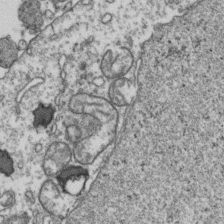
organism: Human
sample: Activated Jurkat CD4+ T cells